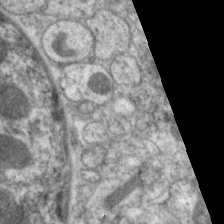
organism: C. elegans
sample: Pharynx